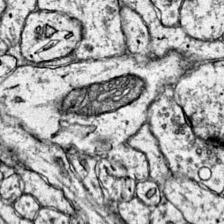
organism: Mouse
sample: Primary visual cortex